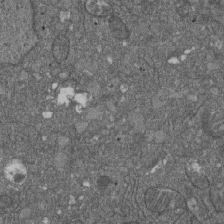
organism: Drosophila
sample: Nephrocyte